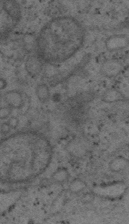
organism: Human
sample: HeLa cells